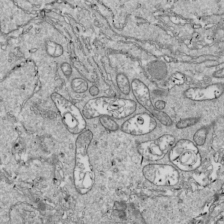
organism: Drosophila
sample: Cell division; meiosis; drosophila spermatocytes